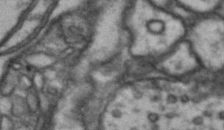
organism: Drosophila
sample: Brain